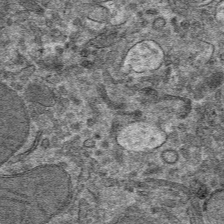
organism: Mouse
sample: Mouse hepatocytes